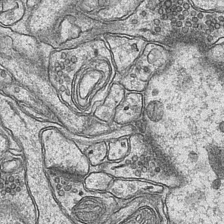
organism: Mouse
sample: CA1 Hippocampus